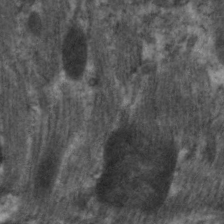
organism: C. elegans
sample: Pharynx